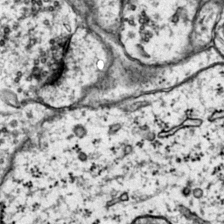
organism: Mouse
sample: Primary visual cortex